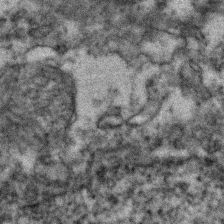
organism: Zebrafish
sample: Zebrafish embryo